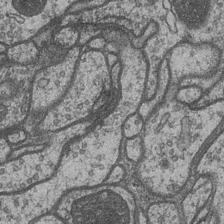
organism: Drosophila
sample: Optic medulla